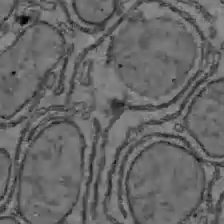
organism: C57BL Mouse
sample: Liver